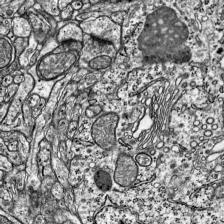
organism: Mouse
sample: Visual Cortex